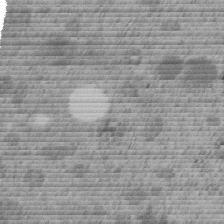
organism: C. elegans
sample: C. elegans embryo early stage